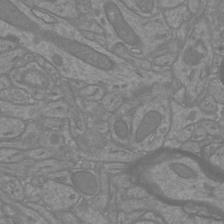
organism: Mouse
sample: Cortical neurons